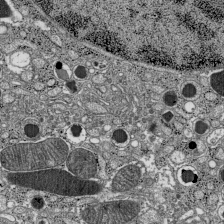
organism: C57BL Mouse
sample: Pancreatic islet